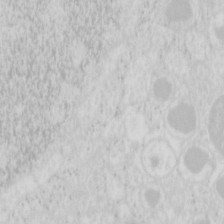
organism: Mouse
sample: Pancreas